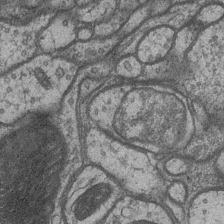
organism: Drosophila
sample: Optic medulla